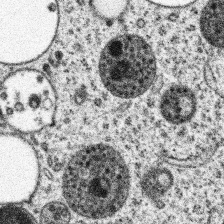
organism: Human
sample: HeLa cells